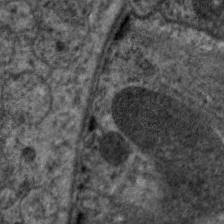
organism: C. elegans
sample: Pharynx